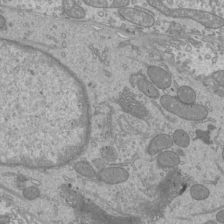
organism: Mouse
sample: Cilia; mouse epididymis